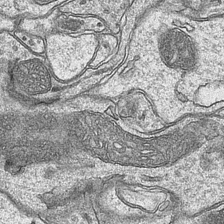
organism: Mouse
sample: CA1 Hippocampus